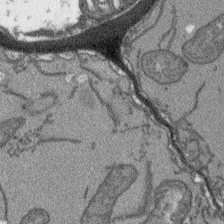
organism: Arabidopsis thaliana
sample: Root tip